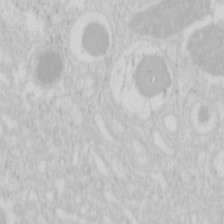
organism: Mouse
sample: Pancreas